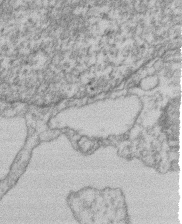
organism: Mouse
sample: T cell stromal cell synapse